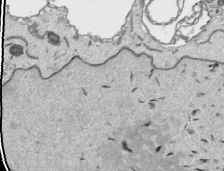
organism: Human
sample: Mitochondria in HCT116 cells